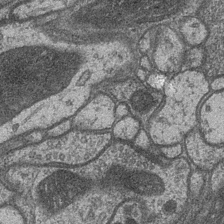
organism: Drosophila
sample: Optic medulla